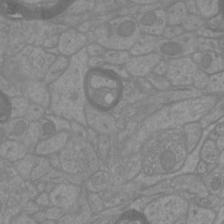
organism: Mouse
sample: Cortical neurons